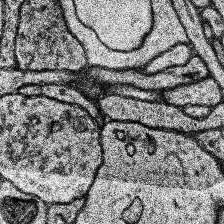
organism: Human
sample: Temporal Lobe